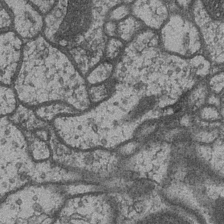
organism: Drosophila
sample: Optic medulla